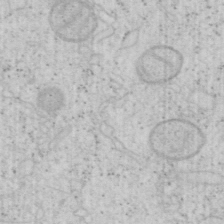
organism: Human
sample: HeLa cells